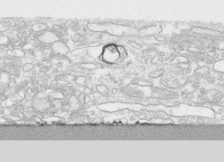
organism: Human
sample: CRL-1474